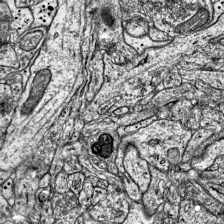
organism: Mouse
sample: Visual Cortex